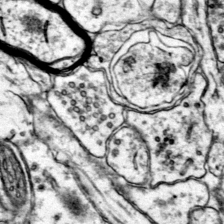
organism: Mouse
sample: Primary visual cortex